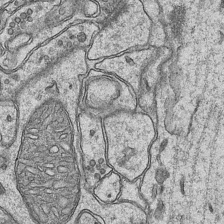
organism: Mouse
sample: CA1 Hippocampus